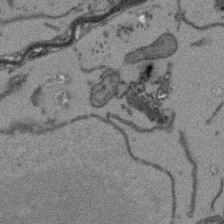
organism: Arabidopsis thaliana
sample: Root tip